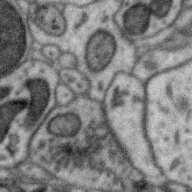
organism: Zebra finch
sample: Brain